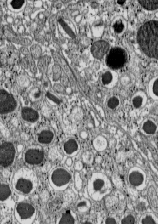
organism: C57BL Mouse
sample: Pancreatic islet